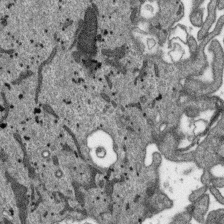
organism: Human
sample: Lung epithelial cells, uninfected (mock) control